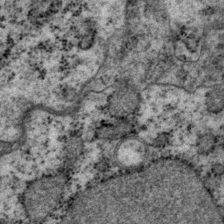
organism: P. pacificus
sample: Pharynx